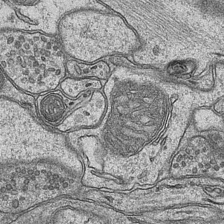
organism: Mouse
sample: CA1 Hippocampus